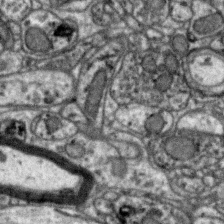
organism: Zebra finch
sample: Brain